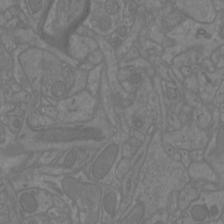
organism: Mouse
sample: Cortical neurons